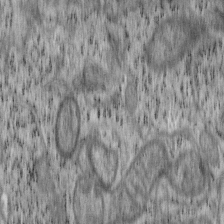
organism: Human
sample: HeLa cells